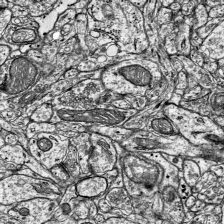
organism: Mouse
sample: Visual Cortex